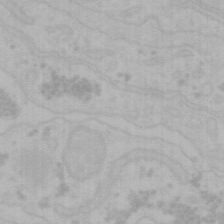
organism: Mouse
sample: Choroid plexus